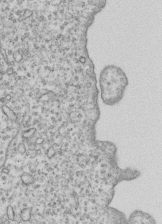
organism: Human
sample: MDA-MB-231 cells